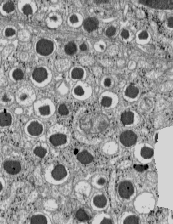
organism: C57BL Mouse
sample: Pancreatic islet